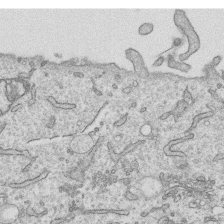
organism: Human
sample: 1205lu cells